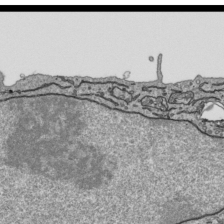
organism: Human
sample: Mitochondria in HCT116 cells